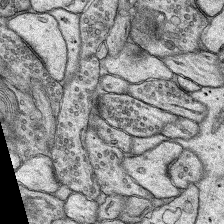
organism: Rat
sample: Hippocampus